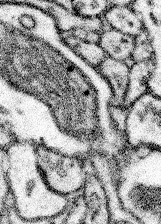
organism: Mouse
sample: Somatosensory cortex neuropil